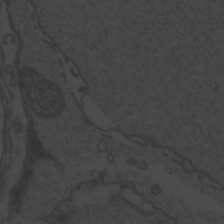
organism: Zebrafish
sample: Macrophage infected with Toxoplasma gondii